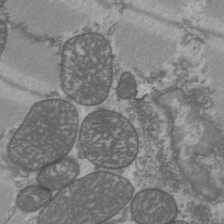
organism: C57BL Mouse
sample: Heart